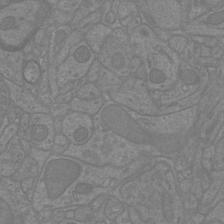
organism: Mouse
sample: Cortical neurons